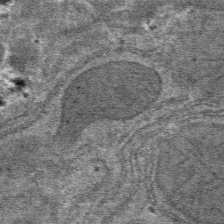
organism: Mouse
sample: Mouse hepatocytes